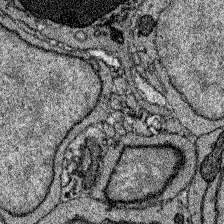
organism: Zebrafish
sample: Larval olfactory bulb